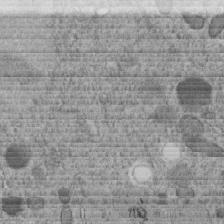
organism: C. elegans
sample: C. elegans embryo early stage